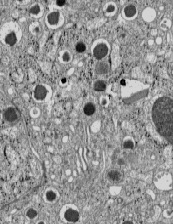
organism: C57BL Mouse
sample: Pancreatic islet